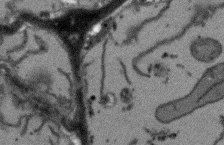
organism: Arabidopsis thaliana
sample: Root tip